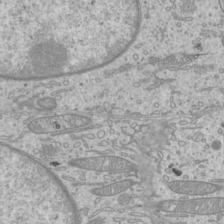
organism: Mouse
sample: Cilia; mouse epididymis